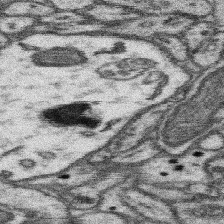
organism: Mouse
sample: Somatosensory cortex neuropil